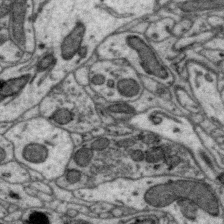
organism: Zebra finch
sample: Brain